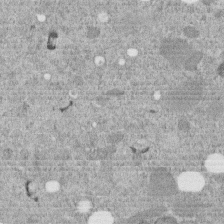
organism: C. elegans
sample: C. elegans embryo early stage